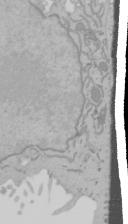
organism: Mouse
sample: Cancer cell death in ED-1 cells